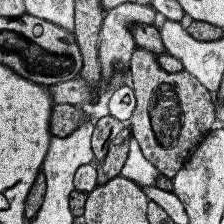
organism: Human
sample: Temporal Lobe